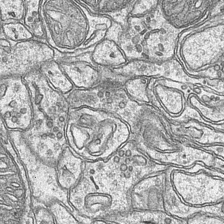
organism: Mouse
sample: CA1 Hippocampus